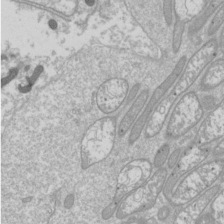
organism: Drosophila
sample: Cell division; meiosis; drosophila spermatocytes